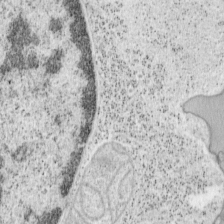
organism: Mouse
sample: OT-I killer T cells with ID8 ovarian cancer cells